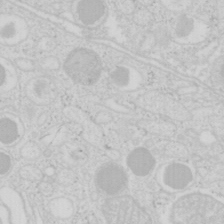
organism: Mouse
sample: Pancreas